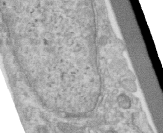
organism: Human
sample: Centriole in RPE cells